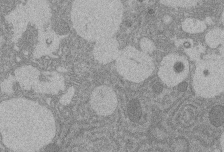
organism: Rat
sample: Salivary granule